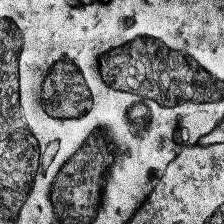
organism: Human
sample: Temporal Lobe